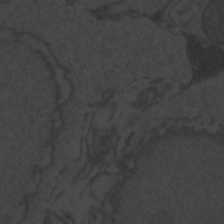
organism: Zebrafish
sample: Macrophage infected with Toxoplasma gondii